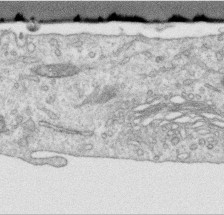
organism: Human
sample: Centriole in RPE cells